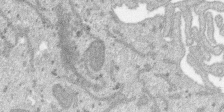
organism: Human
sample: Lung epithelial cells infected with SARS-CoV-2